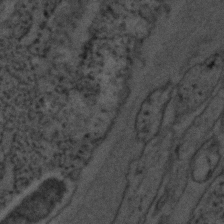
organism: C. elegans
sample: C. elegans embryo